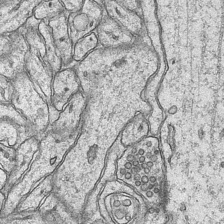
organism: Mouse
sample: CA1 Hippocampus